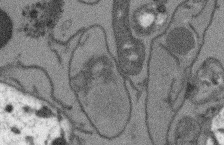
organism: Arabidopsis thaliana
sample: Root tip